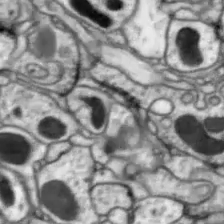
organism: Drosophila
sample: Optic lobe